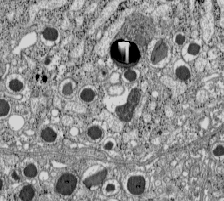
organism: C57BL Mouse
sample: Pancreatic islet